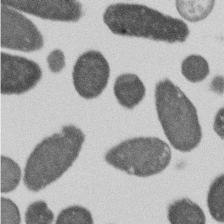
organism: E. coli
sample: Bacterial nucleoid